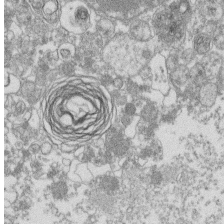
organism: Human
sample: HeLa cell HIV synapse